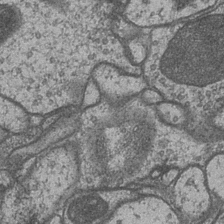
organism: Drosophila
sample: Optic medulla